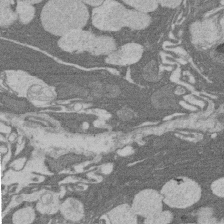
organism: Rat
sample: Salivary granule